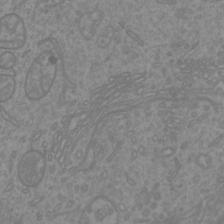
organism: Mouse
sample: Cortical neurons